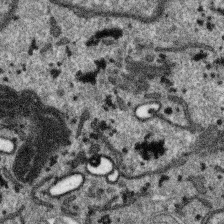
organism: Human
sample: Lung epithelial cells infected with SARS-CoV-2